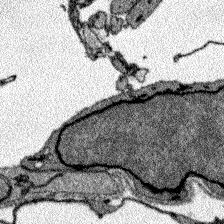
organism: Zebrafish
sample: Larval olfactory bulb